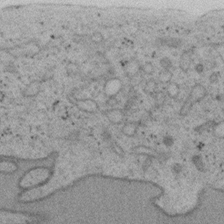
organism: Human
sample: HeLa cells